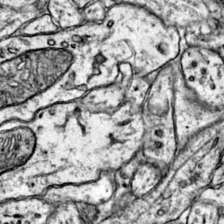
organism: Mouse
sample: Primary visual cortex